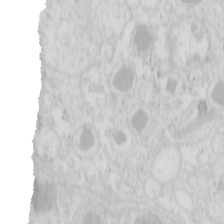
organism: Mouse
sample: Pancreas